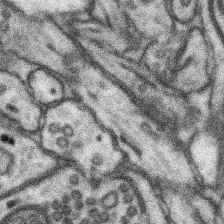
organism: Mouse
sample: Somatosensory cortex neuropil